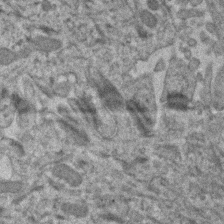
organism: Human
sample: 1205lu cells